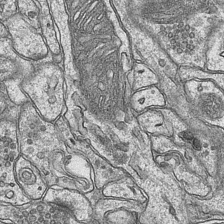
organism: Mouse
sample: CA1 Hippocampus